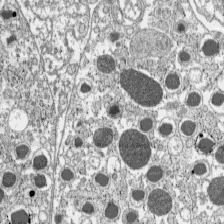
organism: C57BL Mouse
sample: Pancreatic islet